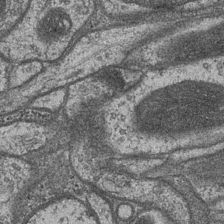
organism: Drosophila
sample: Optic medulla